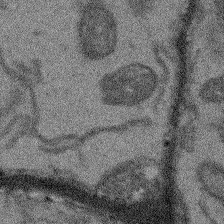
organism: Arabidopsis thaliana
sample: Root tip